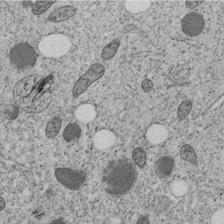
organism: C. elegans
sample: C. elegans embryo early stage